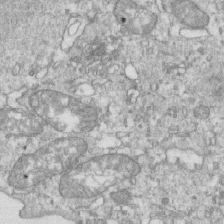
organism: Mouse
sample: Activated OT-1 CD8+ T cells